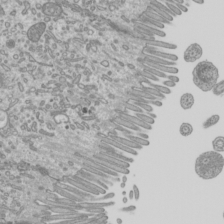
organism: Mouse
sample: Cilia; mouse epididymis